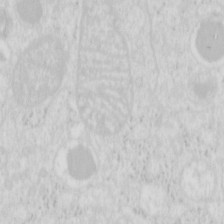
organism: Mouse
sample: Pancreas